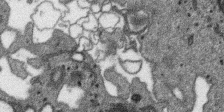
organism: Human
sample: Lung epithelial cells infected with SARS-CoV-2